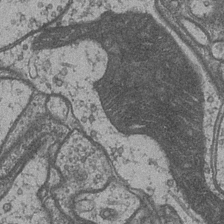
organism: Drosophila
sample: Optic medulla